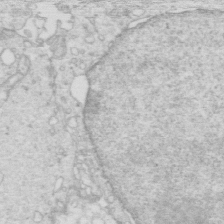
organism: Mouse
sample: Multiciliated cells